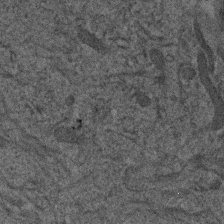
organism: Human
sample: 1205lu cells